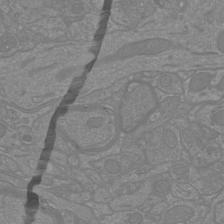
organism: Mouse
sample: Cortical neurons